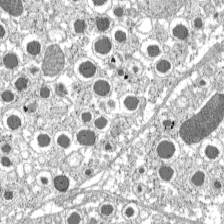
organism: C57BL Mouse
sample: Pancreatic islet